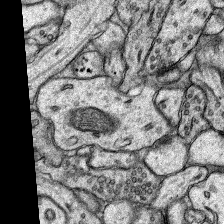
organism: Rat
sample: Hippocampus